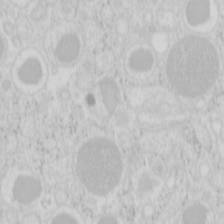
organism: Mouse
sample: Pancreas